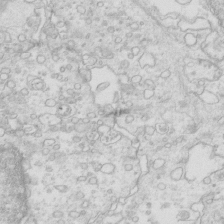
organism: Mouse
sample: Multiciliated cells